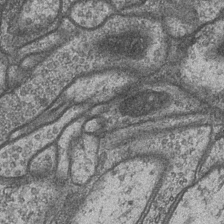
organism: Drosophila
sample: Optic medulla